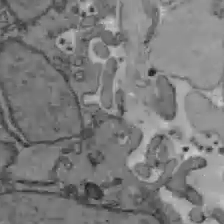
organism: C57BL Mouse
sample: Liver